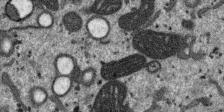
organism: Human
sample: Lung epithelial cells infected with SARS-CoV-2